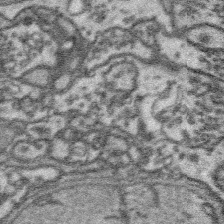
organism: Platynereis dumerilii